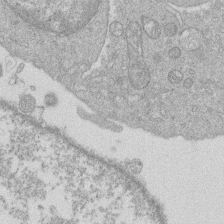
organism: Human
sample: Macrophage cells